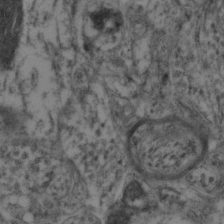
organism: Mouse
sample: Neocortex